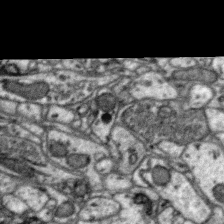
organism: Zebra finch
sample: Brain